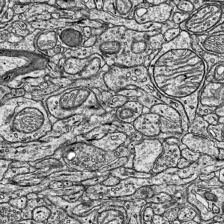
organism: Mouse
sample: Visual Cortex